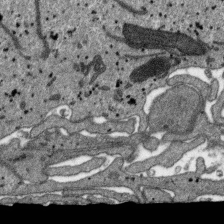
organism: Human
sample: Lung epithelial cells, uninfected (mock) control